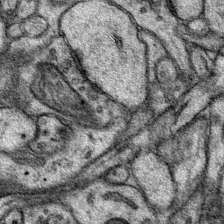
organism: Mouse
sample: Primary visual cortex